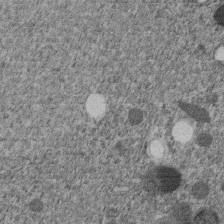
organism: C. elegans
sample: C. elegans embryo early stage